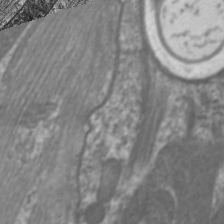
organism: C. elegans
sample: Pharynx